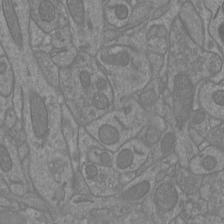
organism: Mouse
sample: Cortical neurons